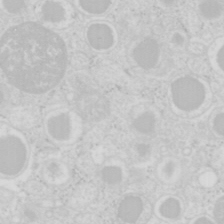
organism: Mouse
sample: Pancreas